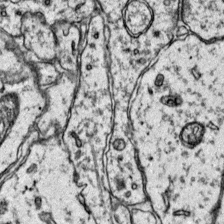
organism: Mouse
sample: Primary visual cortex